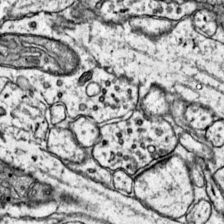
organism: Mouse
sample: Primary visual cortex